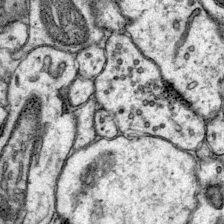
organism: Mouse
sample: Primary visual cortex